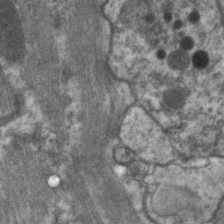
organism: C. elegans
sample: Pharynx